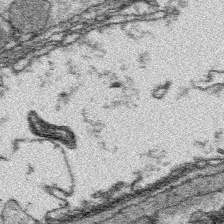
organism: Platynereis dumerilii